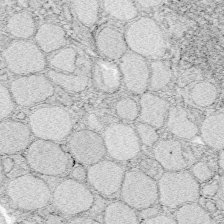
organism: Zebrafish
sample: Whole-Brain